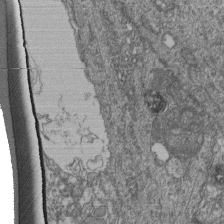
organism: Human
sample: Retinal organoid Rod and Cone cells